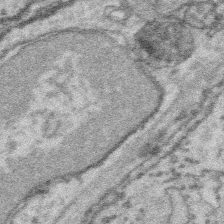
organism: Platynereis dumerilii